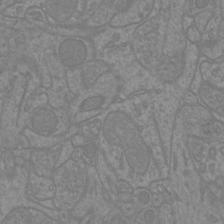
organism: Mouse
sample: Cortical neurons